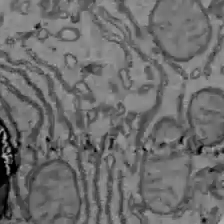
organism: C57BL Mouse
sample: Liver